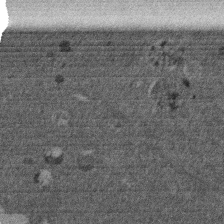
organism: Mouse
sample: Dividing mouse embryo 1 cell stage